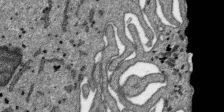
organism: Human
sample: Lung epithelial cells, uninfected (mock) control